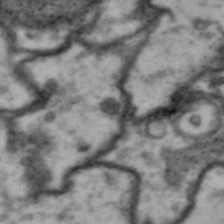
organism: Drosophila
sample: Brain